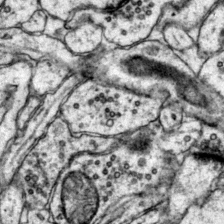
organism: Mouse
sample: Primary visual cortex